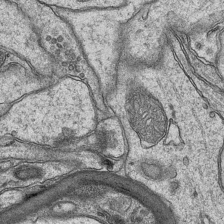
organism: Mouse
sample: CA1 Hippocampus